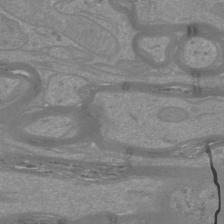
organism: Mouse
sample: Cortical neurons